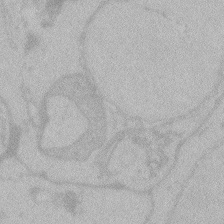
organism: Zebrafish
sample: Macrophage infected with Toxoplasma gondii